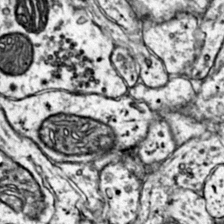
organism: Mouse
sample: Primary visual cortex